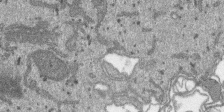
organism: Human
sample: Lung epithelial cells infected with SARS-CoV-2